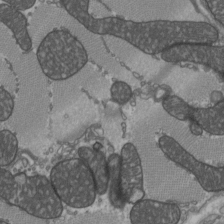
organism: C57BL Mouse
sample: Heart